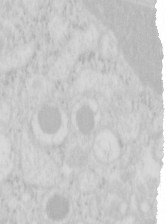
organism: Mouse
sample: Pancreas